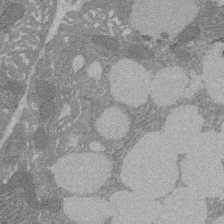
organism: Rat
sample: Salivary granule